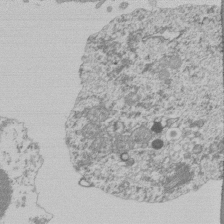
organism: Mouse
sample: Activated Pmel transgenic CD8+ T Cells